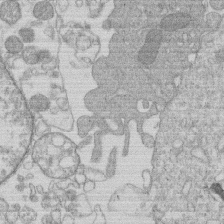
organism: Human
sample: Macrophage cells